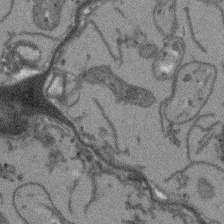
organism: Arabidopsis thaliana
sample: Root tip